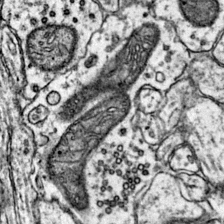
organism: Mouse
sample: Primary visual cortex